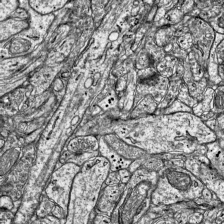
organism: Mouse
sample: Visual Cortex